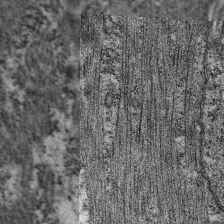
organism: C. elegans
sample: Pharynx